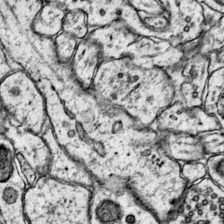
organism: Mouse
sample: Primary visual cortex